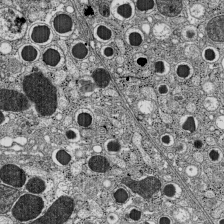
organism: C57BL Mouse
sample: Pancreatic islet